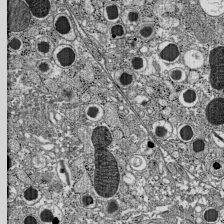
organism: C57BL Mouse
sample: Pancreatic islet